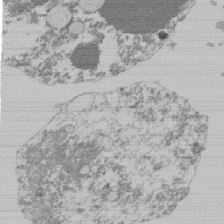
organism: Mouse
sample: Activated Pmel transgenic CD8+ T Cells